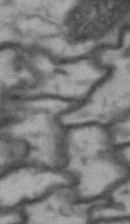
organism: Drosophila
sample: Brain